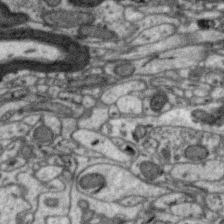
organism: Zebra finch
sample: Brain